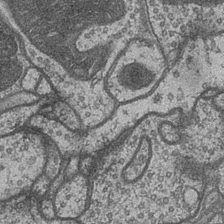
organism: Drosophila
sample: Optic medulla